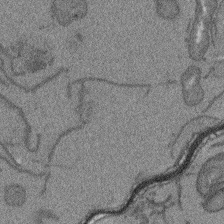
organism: Arabidopsis thaliana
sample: Root tip